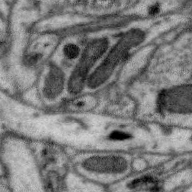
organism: Zebra finch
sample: Brain